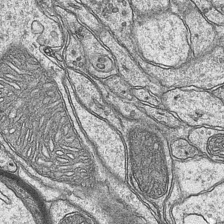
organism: Mouse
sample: CA1 Hippocampus